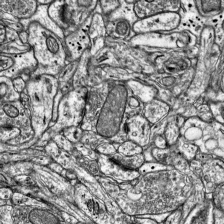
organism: Mouse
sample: Visual Cortex